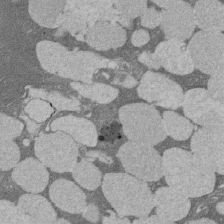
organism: Rat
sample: Salivary granule